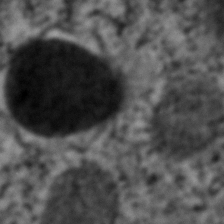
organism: C. elegans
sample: C. elegans embryo